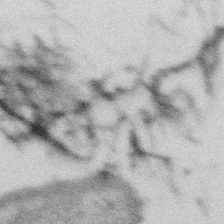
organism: Gemmata obscuriglobus